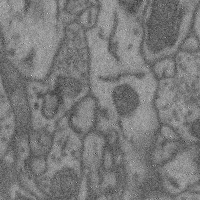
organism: Mouse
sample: Cerebral cortex